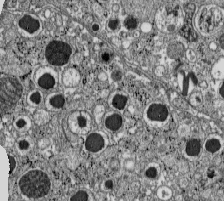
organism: C57BL Mouse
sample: Pancreatic islet